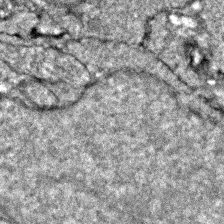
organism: Zebrafish